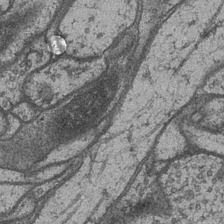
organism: Drosophila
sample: Optic medulla